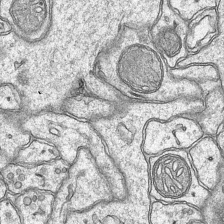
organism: Mouse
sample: CA1 Hippocampus